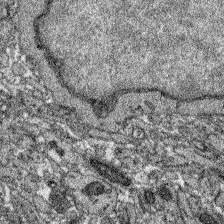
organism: Zebrafish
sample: Larval olfactory bulb